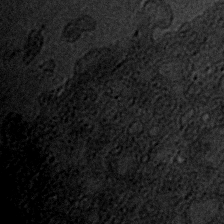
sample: Trachea